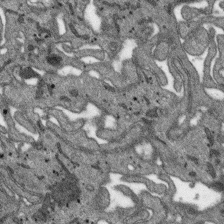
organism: Human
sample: Lung epithelial cells, uninfected (mock) control